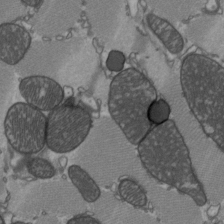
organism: C57BL Mouse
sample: Heart